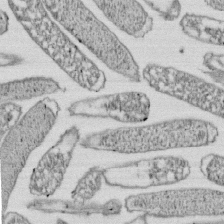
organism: E. coli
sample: Bacterial nucleoid